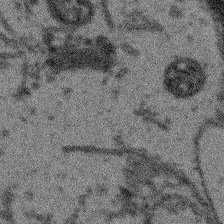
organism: Arabidopsis thaliana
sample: Root tip